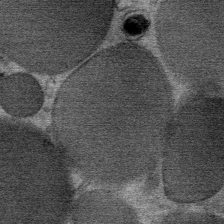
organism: Mouse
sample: Mouse Salivary gland